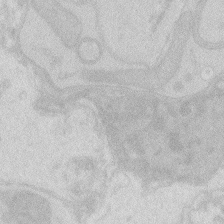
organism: Zebrafish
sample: Macrophage